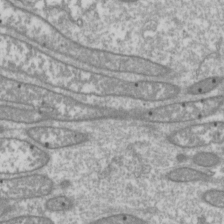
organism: Drosophila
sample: Cell division; meiosis; drosophila spermatocytes